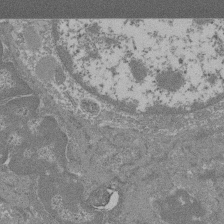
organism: Mouse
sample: Glomerulus